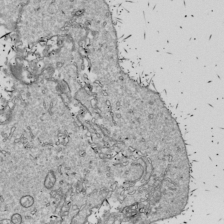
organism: Drosophila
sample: Cell division; meiosis; drosophila spermatocytes